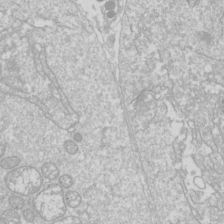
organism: Drosophila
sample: Cell division; meiosis; drosophila spermatocytes